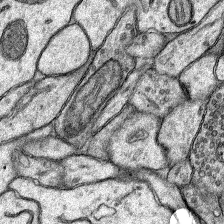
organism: Rat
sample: Hippocampus